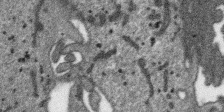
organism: Human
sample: Lung epithelial cells infected with SARS-CoV-2